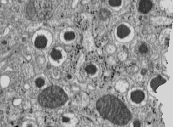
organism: C57BL Mouse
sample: Pancreatic islet